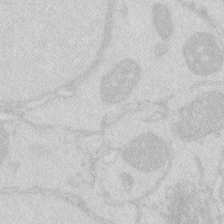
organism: Zebrafish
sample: Macrophage